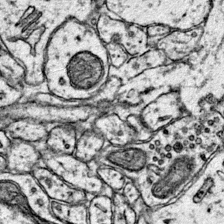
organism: Mouse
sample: Primary visual cortex